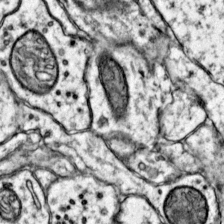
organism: Mouse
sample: Primary visual cortex